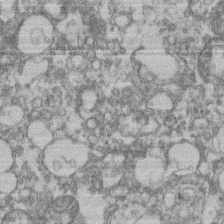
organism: Mouse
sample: T cell stromal cell synapse